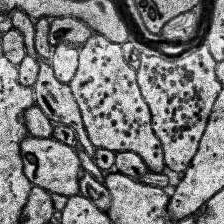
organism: Human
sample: Temporal Lobe